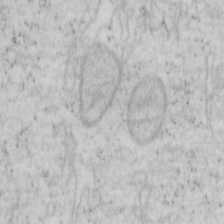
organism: Human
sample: HeLa cells